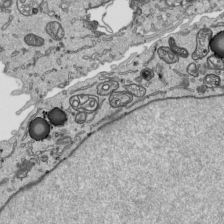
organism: Human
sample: Mitochondria in HCT116 cells